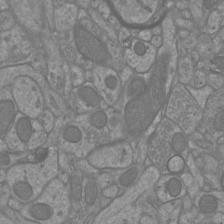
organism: Mouse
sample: Cortical neurons